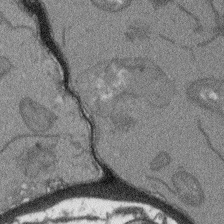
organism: Arabidopsis thaliana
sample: Root tip